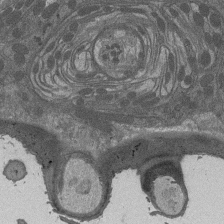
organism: Drosophila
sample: Antenna